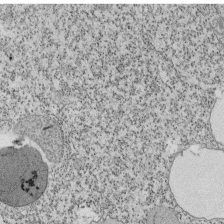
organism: Tetrahymena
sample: Cilia in tetrahymena